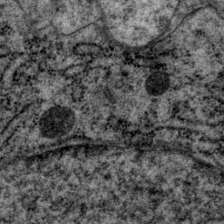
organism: P. pacificus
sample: Pharynx